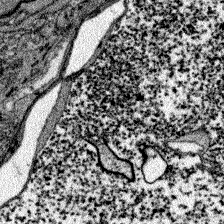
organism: Zebrafish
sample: Larval olfactory bulb